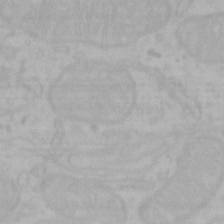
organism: Mouse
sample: Choroid plexus